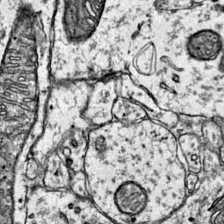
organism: Mouse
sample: Primary visual cortex